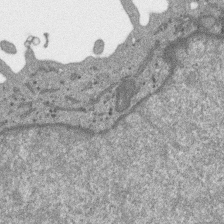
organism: Human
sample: Lung epithelial cells infected with SARS-CoV-2